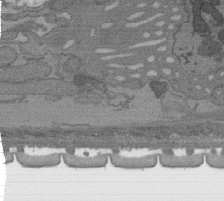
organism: C. elegans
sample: AFD neurons C. elegans